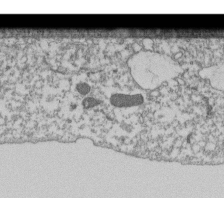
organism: Dictyostelium discoideum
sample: Dictyostelium multivesicular bodies